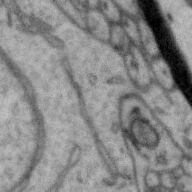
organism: Zebra finch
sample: Brain